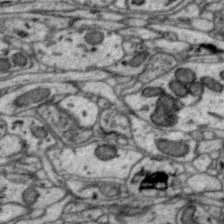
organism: Zebra finch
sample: Brain